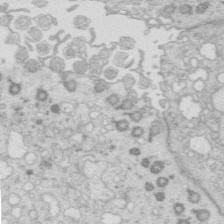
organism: Mouse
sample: Multiciliated cells